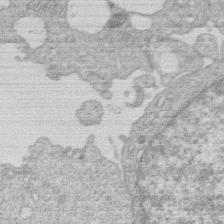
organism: Human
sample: Macrophage cells